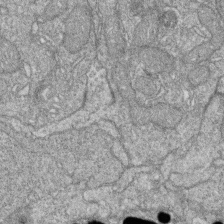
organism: Zebrafish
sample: Cilia; retinal pigment epithelium